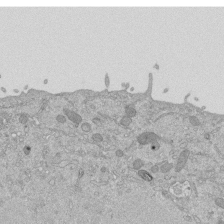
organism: Mouse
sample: ED-1 cell nuclei; centrioles